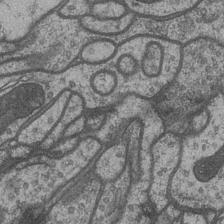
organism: Drosophila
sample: Optic medulla